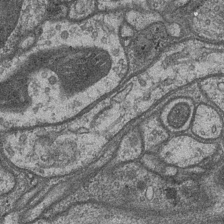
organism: Drosophila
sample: Optic medulla